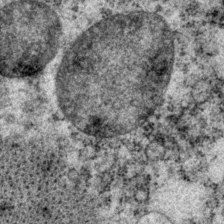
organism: P. pacificus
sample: Pharynx